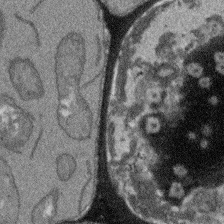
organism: Arabidopsis thaliana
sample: Root tip